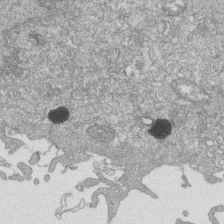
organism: Human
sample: HeLa cell HIV synapse